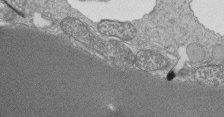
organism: Tetrahymena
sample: Cilia in tetrahymena